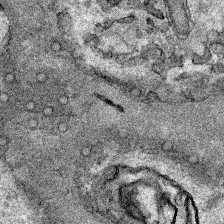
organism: Human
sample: Mitochondria in HCT116 cells